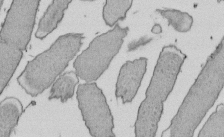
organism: E. coli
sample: Bacterial nucleoid